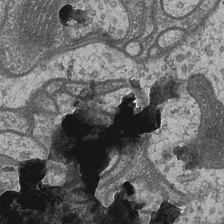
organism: Drosophila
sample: Optic medulla